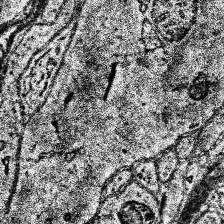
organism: Human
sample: Temporal Lobe